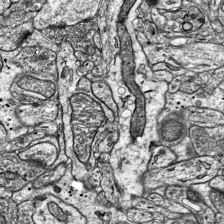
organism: Mouse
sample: Visual Cortex